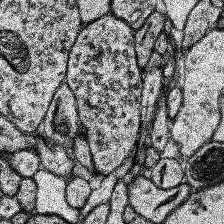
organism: Human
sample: Temporal Lobe